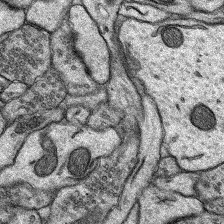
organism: Rat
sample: Hippocampus